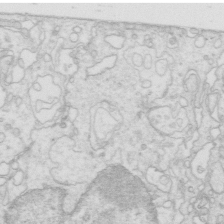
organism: Mouse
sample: Multiciliated cells